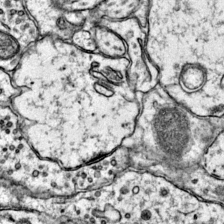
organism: Mouse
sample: Primary visual cortex